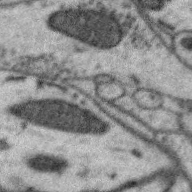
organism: Zebra finch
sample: Brain